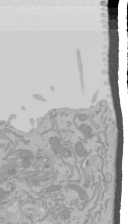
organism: Mouse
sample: Cancer cell death in ED-1 cells